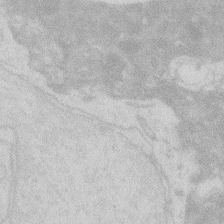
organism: Zebrafish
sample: Macrophage